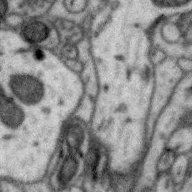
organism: Zebra finch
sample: Brain